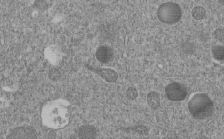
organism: C. elegans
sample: C. elegans embryo early stage